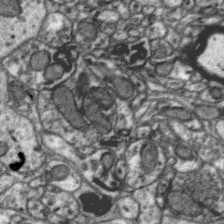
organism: Zebra finch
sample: Brain